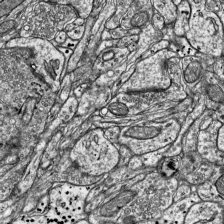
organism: Mouse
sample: Visual Cortex